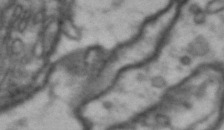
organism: Drosophila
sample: Brain